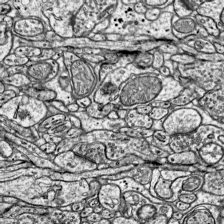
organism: Mouse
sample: Visual Cortex